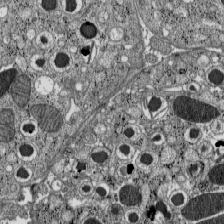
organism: C57BL Mouse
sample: Pancreatic islet